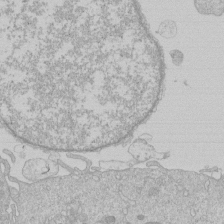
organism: Human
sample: Macrophage cells